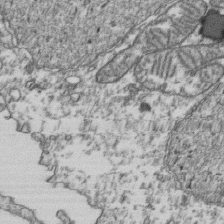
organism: Human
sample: Activated Jurkat CD4+ T cells